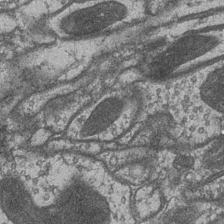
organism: Drosophila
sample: Optic medulla